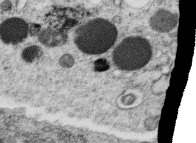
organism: C. elegans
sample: C. elegans oocyte; sperm cells